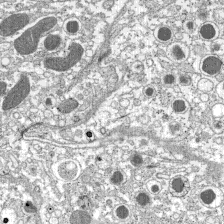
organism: C57BL Mouse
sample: Pancreatic islet